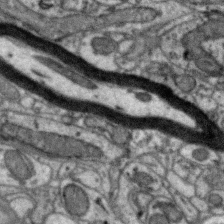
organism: Zebra finch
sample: Brain